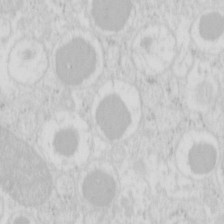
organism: Mouse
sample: Pancreas